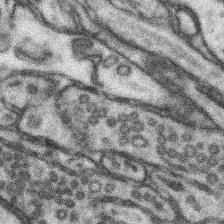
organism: Mouse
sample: Somatosensory cortex neuropil